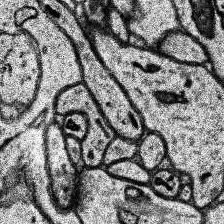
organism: Human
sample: Temporal Lobe